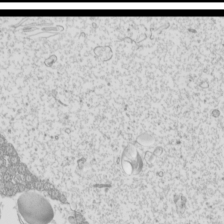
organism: Mouse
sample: Cilia; mouse epididymis